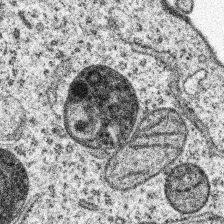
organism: Human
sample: HeLa cells